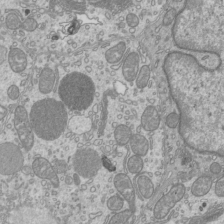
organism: Mouse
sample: Cilia; mouse epididymis